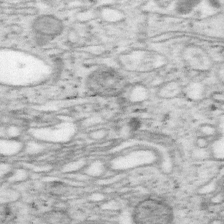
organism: Mouse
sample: OT-I killer T cells with ID8 ovarian cancer cells